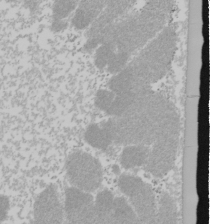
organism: Mouse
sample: Cancer cell death in ED-1 cells